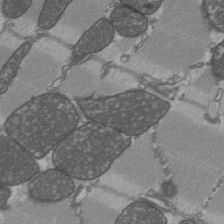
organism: C57BL Mouse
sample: Heart